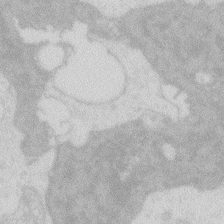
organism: Zebrafish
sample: Macrophage